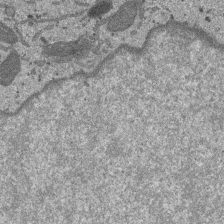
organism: Human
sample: Lung epithelial cells infected with SARS-CoV-2